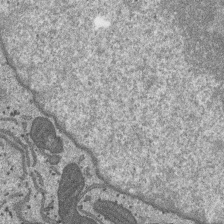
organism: Human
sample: Lung epithelial cells infected with SARS-CoV-2